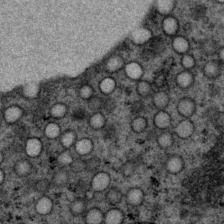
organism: P. pacificus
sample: Pharynx